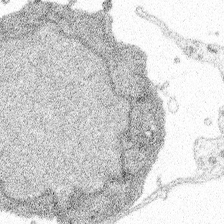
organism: Spongilla lacustris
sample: Multiple